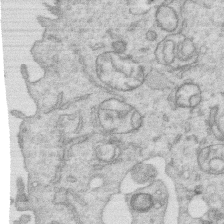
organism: Human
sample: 1205lu cells